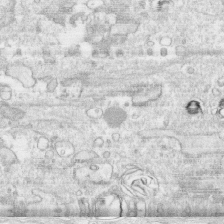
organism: Human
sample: CRL-1474